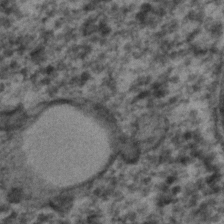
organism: C. elegans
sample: C. elegans embryo